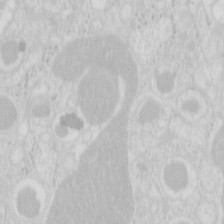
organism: Mouse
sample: Pancreas